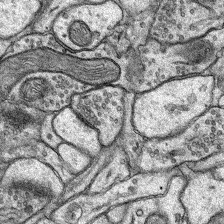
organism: Rat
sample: Hippocampus